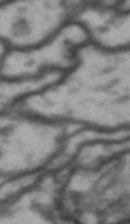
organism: Drosophila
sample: Brain